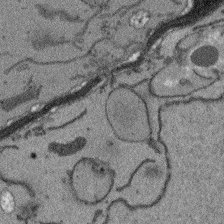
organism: Arabidopsis thaliana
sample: Root tip